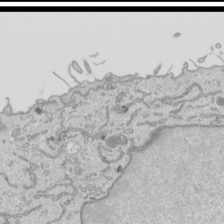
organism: Human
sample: Mitochondria in HCT116 cells